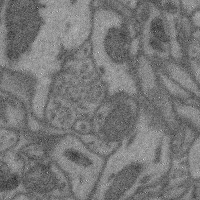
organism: Mouse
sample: Cerebral cortex